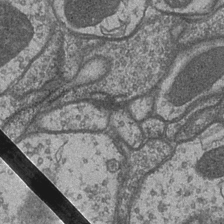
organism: Drosophila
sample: Optic medulla